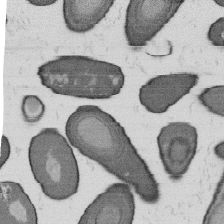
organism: B. subtilis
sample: Bacterial spore